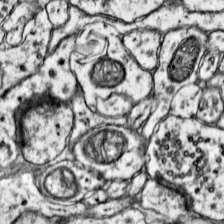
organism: Mouse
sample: Primary visual cortex